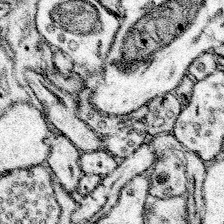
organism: Mouse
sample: Somatosensory cortex neuropil